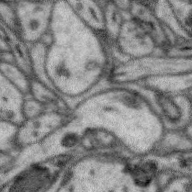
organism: Zebra finch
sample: Brain